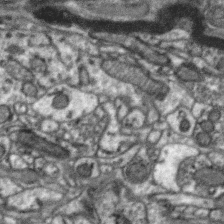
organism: Zebra finch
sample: Brain